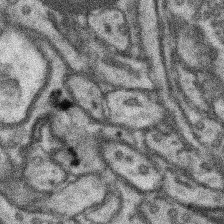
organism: Mouse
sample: Somatosensory cortex neuropil